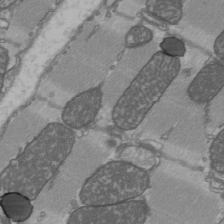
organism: C57BL Mouse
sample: Heart